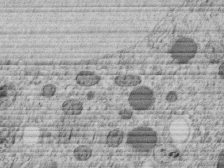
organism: C. elegans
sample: C. elegans embryo early stage